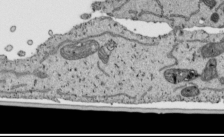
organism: Human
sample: Mitochondria in HCT116 cells